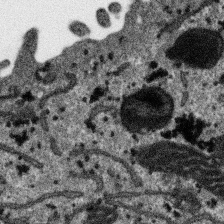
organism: Human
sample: Lung epithelial cells infected with SARS-CoV-2